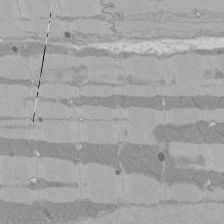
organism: Rat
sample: Left ventricle